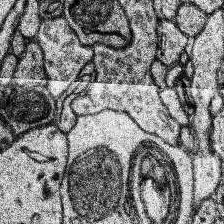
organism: Human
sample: Temporal Lobe